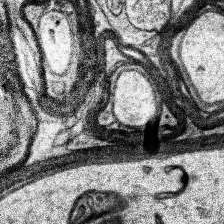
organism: Human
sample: Temporal Lobe